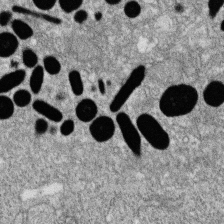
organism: Zebrafish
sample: Cilia; retinal pigment epithelium